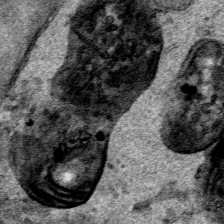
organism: Human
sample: Mitochondria in HCT116 cells